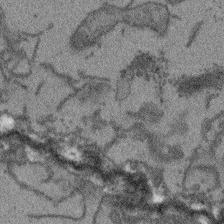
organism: Arabidopsis thaliana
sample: Root tip